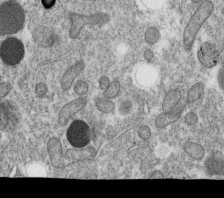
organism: C. elegans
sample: C. elegans oocyte; sperm cells